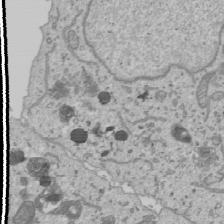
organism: Human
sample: Mitochondria in U2OS cells